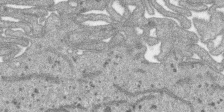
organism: Human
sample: Lung epithelial cells infected with SARS-CoV-2